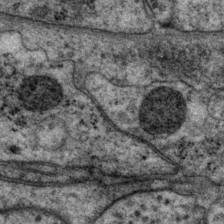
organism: P. pacificus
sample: Pharynx